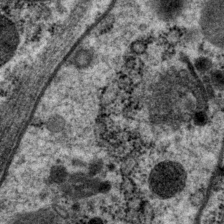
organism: P. pacificus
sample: Pharynx